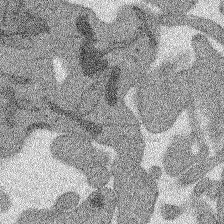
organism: Human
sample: HeLa cells